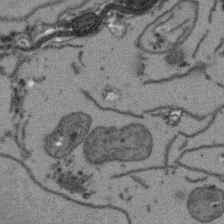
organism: Arabidopsis thaliana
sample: Root tip